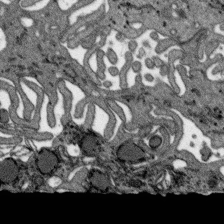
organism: Human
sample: Lung epithelial cells, uninfected (mock) control